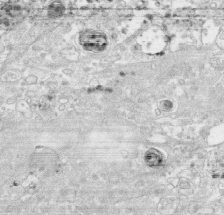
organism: Human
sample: CRL-1474